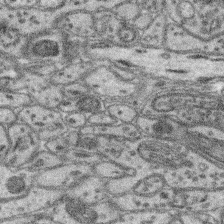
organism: Mouse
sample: Retina